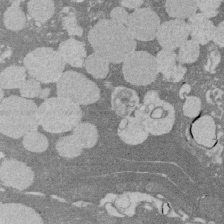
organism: Rat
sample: Salivary granule